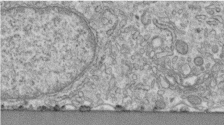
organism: Human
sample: Centriole in fibroblast cells